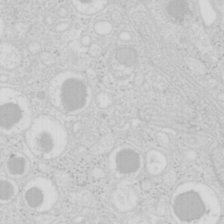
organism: Mouse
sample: Pancreas